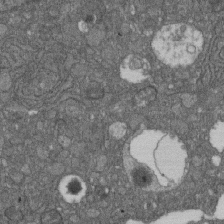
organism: Drosophila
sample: Nephrocyte